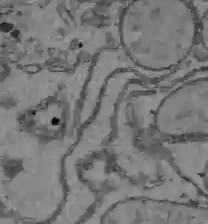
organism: C57BL Mouse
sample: Liver